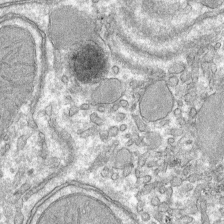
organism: Mouse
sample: Mouse hepatocytes